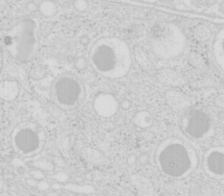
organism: Mouse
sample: Pancreas